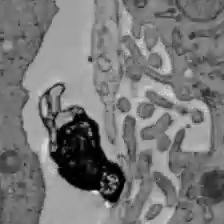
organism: C57BL Mouse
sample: Liver